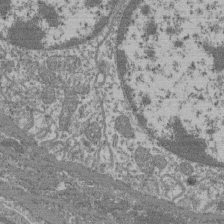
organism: Mouse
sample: Glomerulus